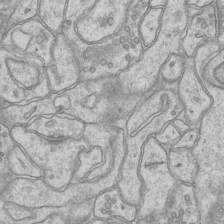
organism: Mouse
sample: CA1 Hippocampus